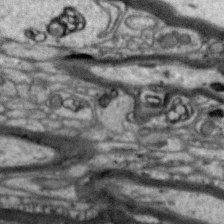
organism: Zebra finch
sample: Brain